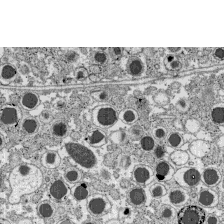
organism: C57BL Mouse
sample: Pancreatic islet